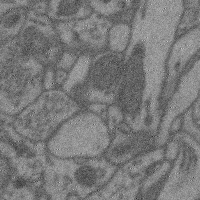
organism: Mouse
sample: Cerebral cortex